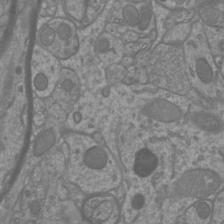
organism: Mouse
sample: Cortical neurons